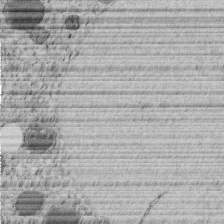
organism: C. elegans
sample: C. elegans embryo early stage